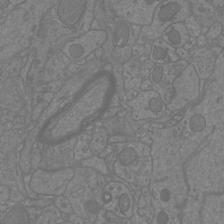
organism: Mouse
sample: Cortical neurons